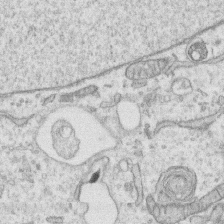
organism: Human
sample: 1205lu cells